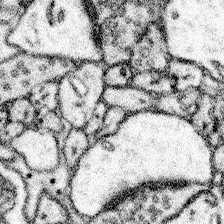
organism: Mouse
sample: Somatosensory cortex neuropil